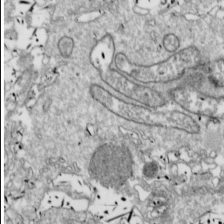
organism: Drosophila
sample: Cell division; meiosis; drosophila spermatocytes